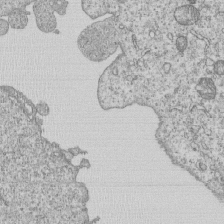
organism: Human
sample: MDA-MB-231 cells